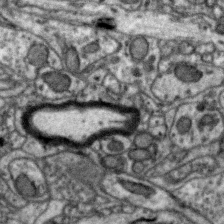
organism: Zebra finch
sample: Brain